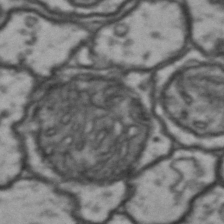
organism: Drosophila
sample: Brain